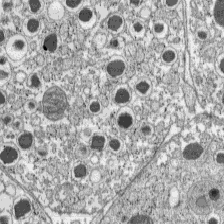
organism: C57BL Mouse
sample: Pancreatic islet